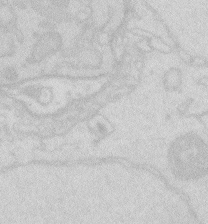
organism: Zebrafish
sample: Macrophage